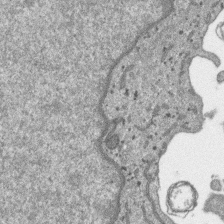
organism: Human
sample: Lung epithelial cells infected with SARS-CoV-2